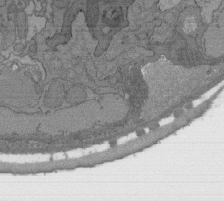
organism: C. elegans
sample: AFD neurons C. elegans